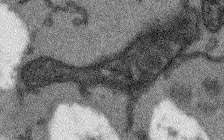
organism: Arabidopsis thaliana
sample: Root tip